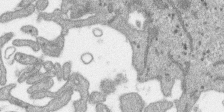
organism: Human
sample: Lung epithelial cells infected with SARS-CoV-2